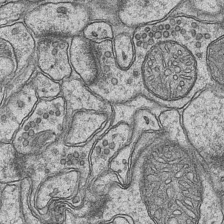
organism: Mouse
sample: CA1 Hippocampus